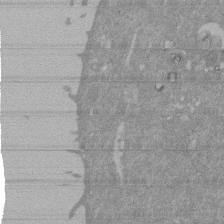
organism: Mouse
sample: ED-1 cell nuclei; centrioles